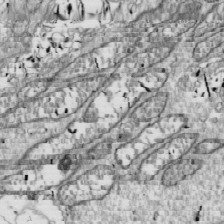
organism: Drosophila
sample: Cell division; meiosis; drosophila spermatocytes